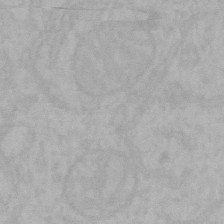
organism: Mouse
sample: Choroid plexus